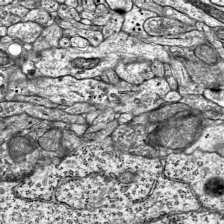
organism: Mouse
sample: Visual Cortex